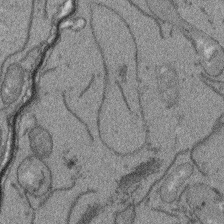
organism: Arabidopsis thaliana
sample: Root tip